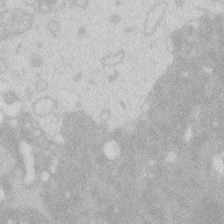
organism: Zebrafish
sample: Macrophage